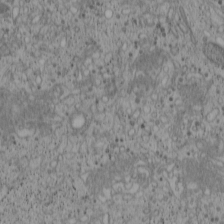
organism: African green monkey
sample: COS-7 cells